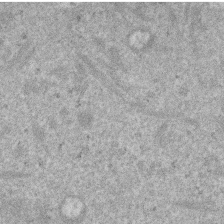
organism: Mouse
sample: Dividing mouse embryo 1 cell stage